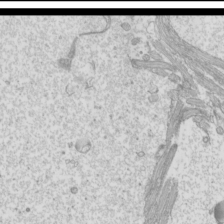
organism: Mouse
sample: Cilia; mouse epididymis